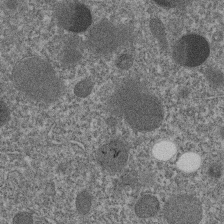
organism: C. elegans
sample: C. elegans embryo early stage